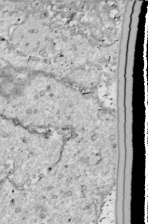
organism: Drosophila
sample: Cell division; meiosis; drosophila spermatocytes